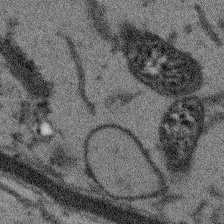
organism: Arabidopsis thaliana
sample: Root tip